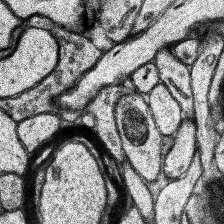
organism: Human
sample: Temporal Lobe